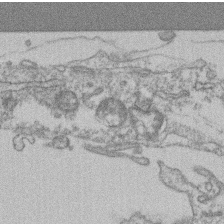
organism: Mouse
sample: T cell stromal cell synapse